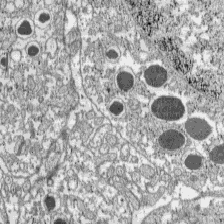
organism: C57BL Mouse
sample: Pancreatic islet